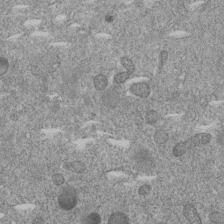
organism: C. elegans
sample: C. elegans embryo early stage